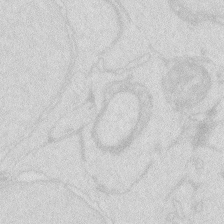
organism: Zebrafish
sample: Macrophage